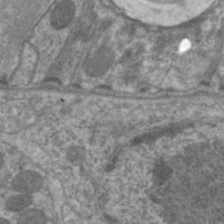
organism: C. elegans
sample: Pharynx